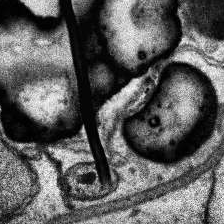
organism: Human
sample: Temporal Lobe